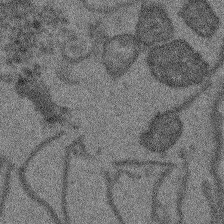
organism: Arabidopsis thaliana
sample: Root tip